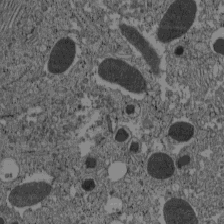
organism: C57BL Mouse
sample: Pancreatic islet